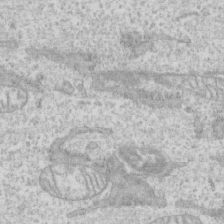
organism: Human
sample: CRL-1474